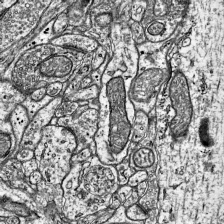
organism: Mouse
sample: Visual Cortex